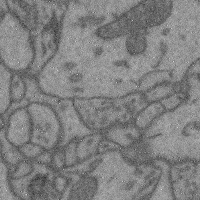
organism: Mouse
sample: Cerebral cortex